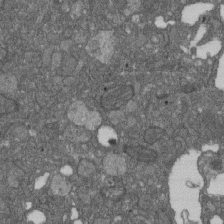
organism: Drosophila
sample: Nephrocyte